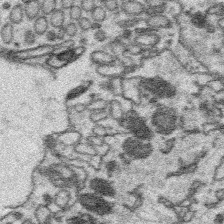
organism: Platynereis dumerilii